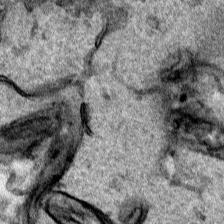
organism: Human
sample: Mitochondria in HCT116 cells